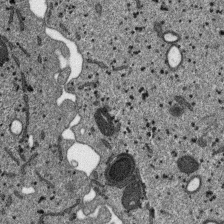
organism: Human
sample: Lung epithelial cells infected with SARS-CoV-2